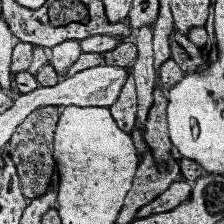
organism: Human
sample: Temporal Lobe